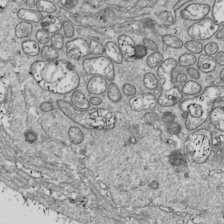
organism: Drosophila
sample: Cell division; meiosis; drosophila spermatocytes